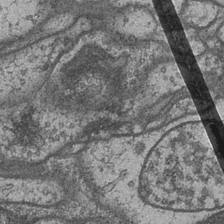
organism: Drosophila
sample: Optic medulla